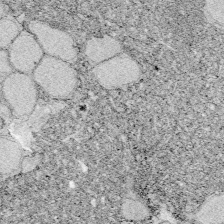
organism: Zebrafish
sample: Whole-Brain